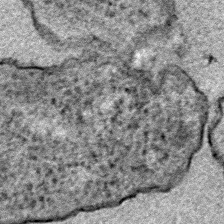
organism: E. coli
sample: E. Coli Bacteria